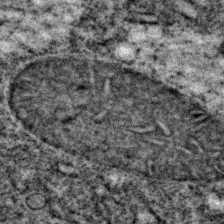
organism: C. elegans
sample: C. elegans embryo